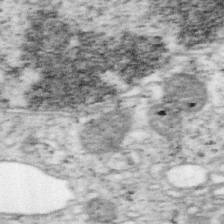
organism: Mouse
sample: OT-I killer T cells with ID8 ovarian cancer cells